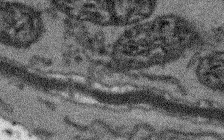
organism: Arabidopsis thaliana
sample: Root tip